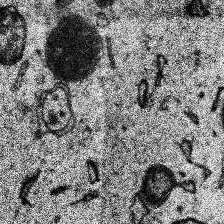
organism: Human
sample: Temporal Lobe